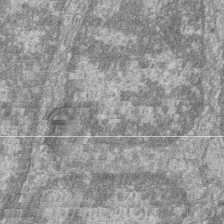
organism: Zebrafish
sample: Cilia; retinal pigment epithelium